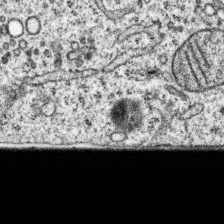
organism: Human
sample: HeLa cells